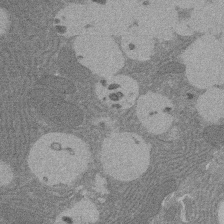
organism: Rat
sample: Salivary granule